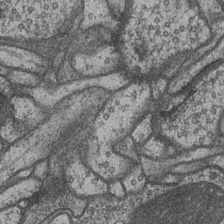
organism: Drosophila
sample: Optic medulla